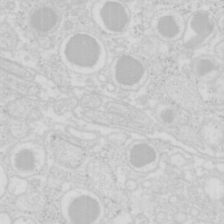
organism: Mouse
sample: Pancreas